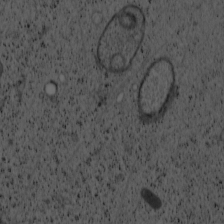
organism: African green monkey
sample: COS-7 cells